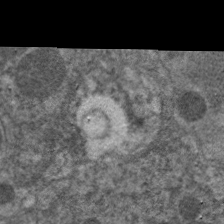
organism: C. elegans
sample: Pharynx